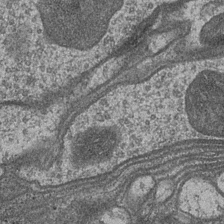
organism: Drosophila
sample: Optic medulla